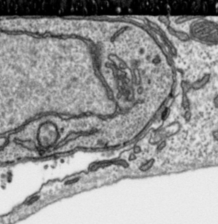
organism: Toxoplasma gondii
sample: Parasites in a vacuole inside a host cell